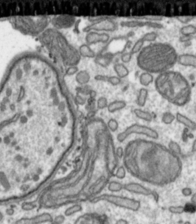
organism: Toxoplasma gondii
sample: Parasites in a vacuole inside a host cell